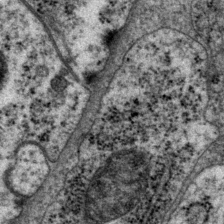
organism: P. pacificus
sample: Pharynx